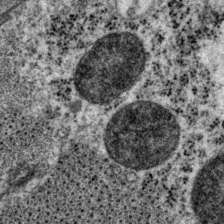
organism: P. pacificus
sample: Pharynx